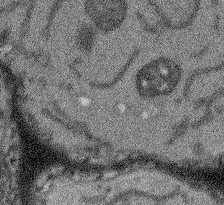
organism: Arabidopsis thaliana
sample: Root tip